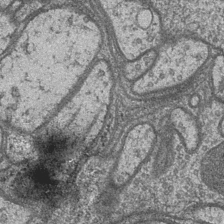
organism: Drosophila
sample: Optic medulla